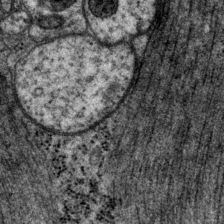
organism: P. pacificus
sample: Pharynx